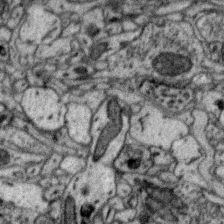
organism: Zebra finch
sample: Brain